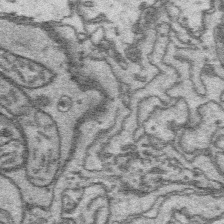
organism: Platynereis dumerilii